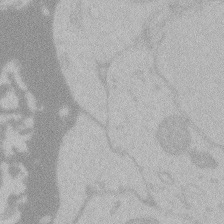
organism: Zebrafish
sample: Macrophage infected with Toxoplasma gondii